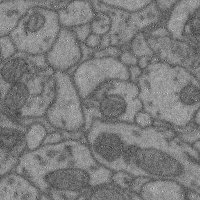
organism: Mouse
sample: Cerebral cortex